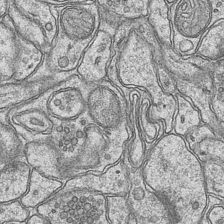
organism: Mouse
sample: CA1 Hippocampus